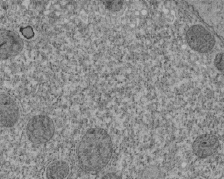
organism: Tetrahymena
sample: Cilia in tetrahymena